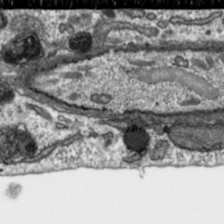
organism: Toxoplasma gondii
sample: Parasites in a vacuole inside a host cell